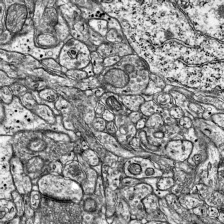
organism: Mouse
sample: Visual Cortex